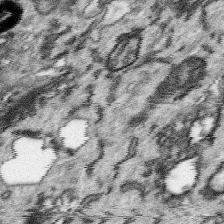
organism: Human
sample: HeLa cells